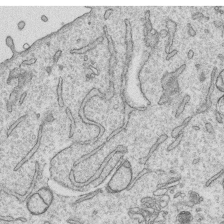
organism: Human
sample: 1205lu cells